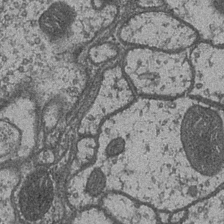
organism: Drosophila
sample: Optic medulla